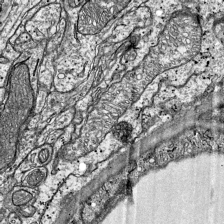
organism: Mouse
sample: Visual Cortex